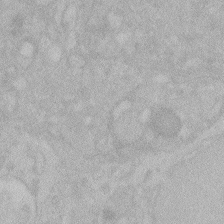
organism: Zebrafish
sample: Macrophage infected with Toxoplasma gondii